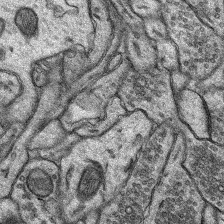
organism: Rat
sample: Hippocampus